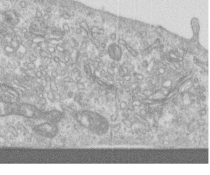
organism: Human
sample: Centriole in RPE cells